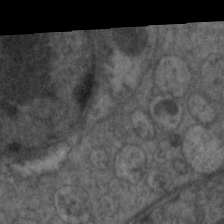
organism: C. elegans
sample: Pharynx